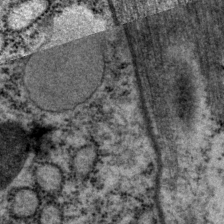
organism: P. pacificus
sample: Pharynx